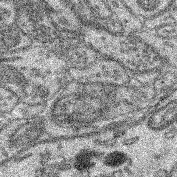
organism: Mouse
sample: Retina